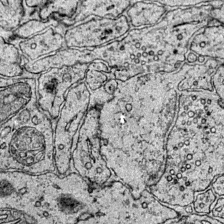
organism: Mouse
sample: Primary visual cortex